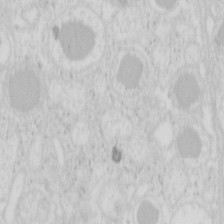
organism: Mouse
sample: Pancreas